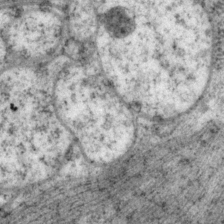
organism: P. pacificus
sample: Pharynx